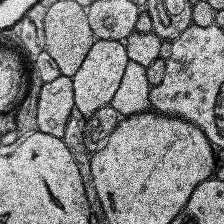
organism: Human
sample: Temporal Lobe